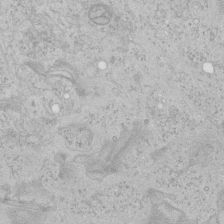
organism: Human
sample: Mitochondria in HCT116 cells